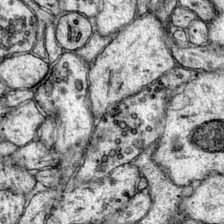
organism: Mouse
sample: Primary visual cortex